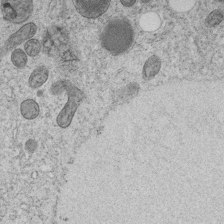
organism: C. elegans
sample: C. elegans embryo early stage